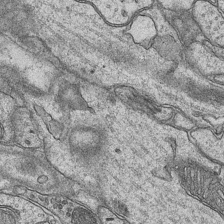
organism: Mouse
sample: CA1 Hippocampus